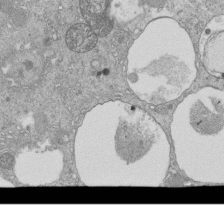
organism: Tetrahymena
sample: Cilia in tetrahymena